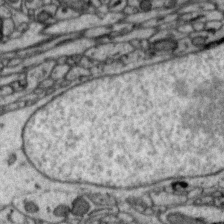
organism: Zebra finch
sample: Brain